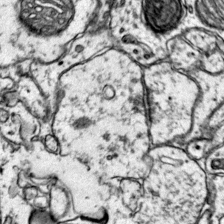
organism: Mouse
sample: Primary visual cortex